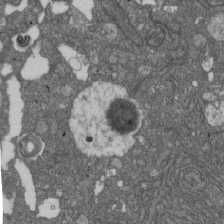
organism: Drosophila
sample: Nephrocyte